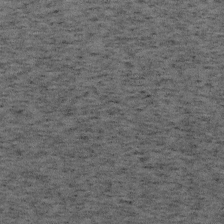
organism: Mouse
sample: OT-I killer T cells with ID8 ovarian cancer cells